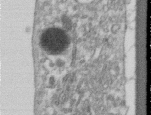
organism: Human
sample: Centriole in RPE cells